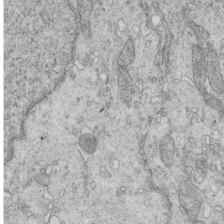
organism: Mouse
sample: Multiciliated cells